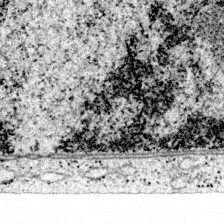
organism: Human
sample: HeLa cells